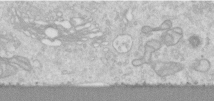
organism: Human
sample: Centriole in RPE cells